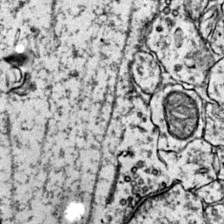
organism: Mouse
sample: Primary visual cortex